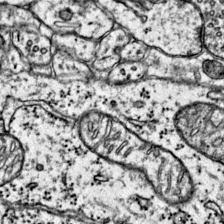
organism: Mouse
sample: Primary visual cortex